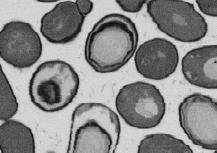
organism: B. subtilis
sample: Bacterial spore